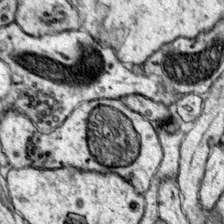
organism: Mouse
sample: Primary visual cortex